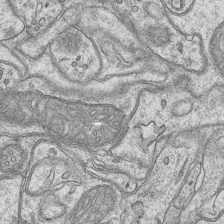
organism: Mouse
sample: CA1 Hippocampus